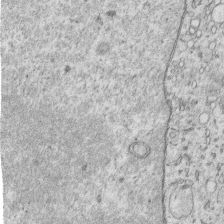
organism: Human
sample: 1205lu cells